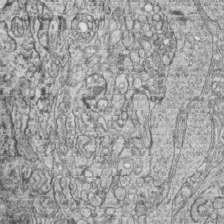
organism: Zebrafish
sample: synaptic ribbons in rod cells and cone cells